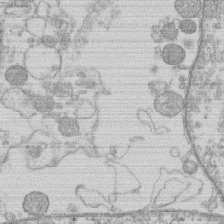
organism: Human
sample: Macrophage cells